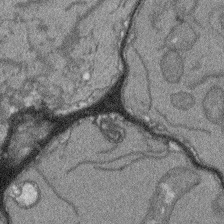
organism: Arabidopsis thaliana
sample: Root tip